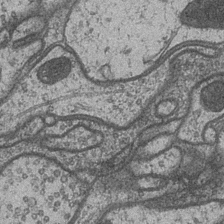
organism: Drosophila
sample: Optic medulla